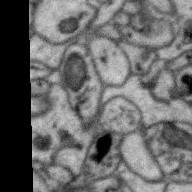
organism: Zebra finch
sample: Brain